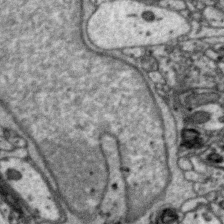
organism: Zebra finch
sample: Brain